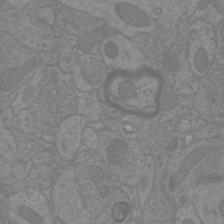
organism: Mouse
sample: Cortical neurons